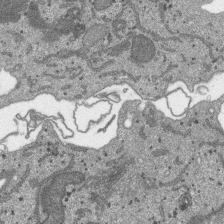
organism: Human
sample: Lung epithelial cells infected with SARS-CoV-2